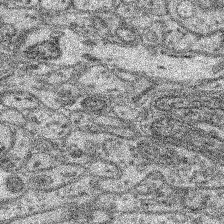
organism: Mouse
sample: Retina